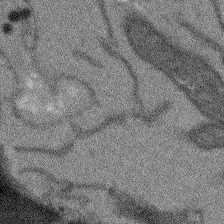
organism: Arabidopsis thaliana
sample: Root tip